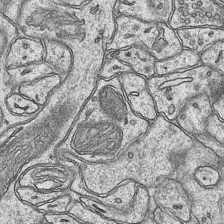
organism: Mouse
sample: CA1 Hippocampus